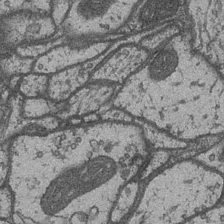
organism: Drosophila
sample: Optic medulla